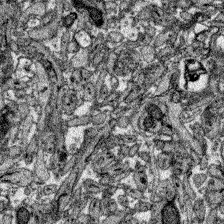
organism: Zebrafish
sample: Larval olfactory bulb